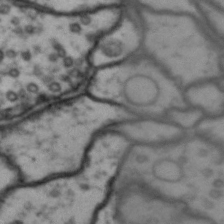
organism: Drosophila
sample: Brain